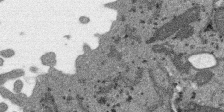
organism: Human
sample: Lung epithelial cells infected with SARS-CoV-2